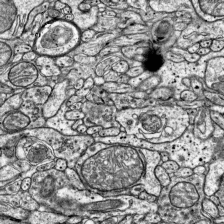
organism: Mouse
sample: Visual Cortex